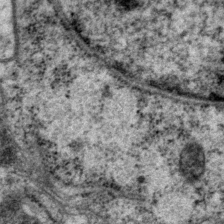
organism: P. pacificus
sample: Pharynx